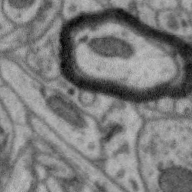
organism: Zebra finch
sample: Brain